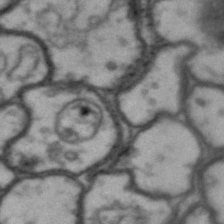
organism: Drosophila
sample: Brain